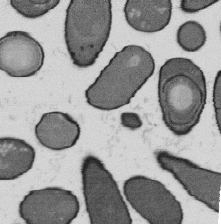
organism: B. subtilis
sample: Bacterial spore